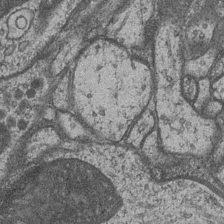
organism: Drosophila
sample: Optic medulla